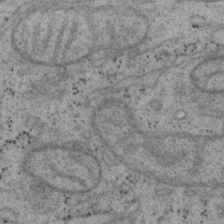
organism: Human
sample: HeLa cells